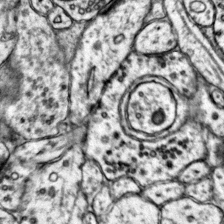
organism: Mouse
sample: Primary visual cortex